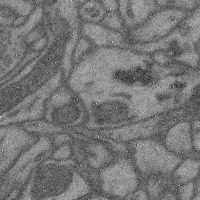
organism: Mouse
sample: Cerebral cortex